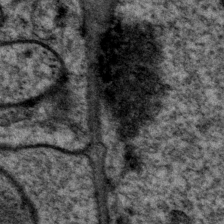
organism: P. pacificus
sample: Pharynx